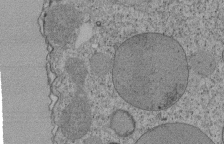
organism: Tetrahymena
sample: Cilia in tetrahymena